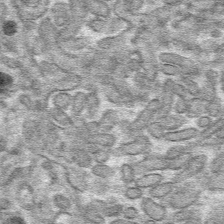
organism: Mouse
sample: Mouse hepatocytes